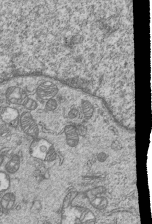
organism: Human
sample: MDA-MB-231 cells